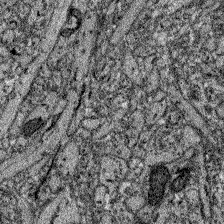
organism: Zebrafish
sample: Larval olfactory bulb